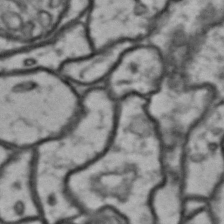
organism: Drosophila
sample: Brain